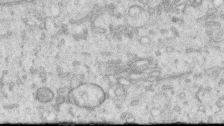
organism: Human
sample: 1205lu cells